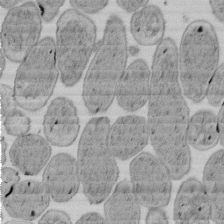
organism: E. coli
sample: Bacterial nucleoid